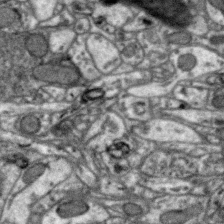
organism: Zebra finch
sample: Brain